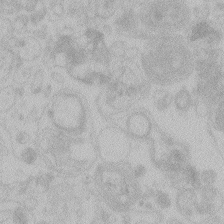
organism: Zebrafish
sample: Macrophage infected with Toxoplasma gondii